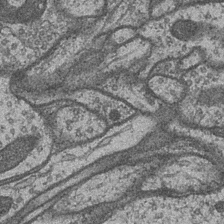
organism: Drosophila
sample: Optic medulla